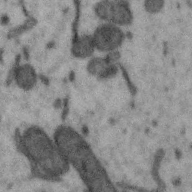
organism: Zebra finch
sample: Brain